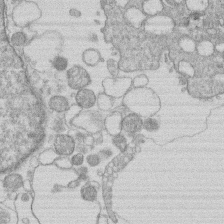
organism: Human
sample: Macrophage cells